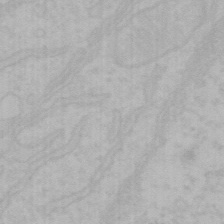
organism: Mouse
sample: Choroid plexus